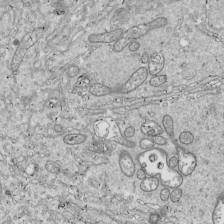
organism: Drosophila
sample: Cell division; meiosis; drosophila spermatocytes